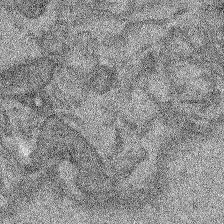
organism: Human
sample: HeLa cells